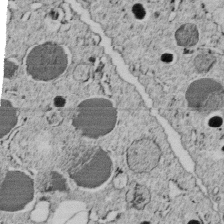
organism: C. elegans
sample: C. elegans embryo early stage